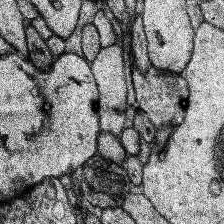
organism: Human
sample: Temporal Lobe